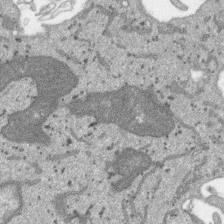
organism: Human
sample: Lung epithelial cells infected with SARS-CoV-2